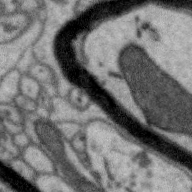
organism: Zebra finch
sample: Brain